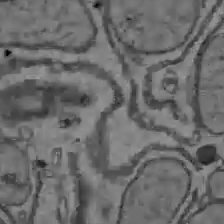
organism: C57BL Mouse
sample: Liver